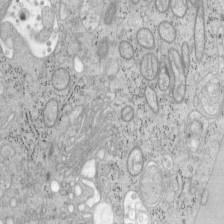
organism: Mouse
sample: OT-I killer T cells with ID8 ovarian cancer cells